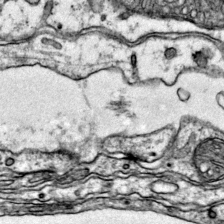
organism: Mouse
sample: Primary visual cortex